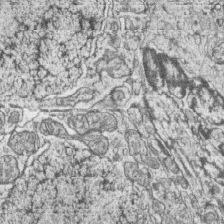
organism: Zebrafish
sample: synaptic ribbons in rod cells and cone cells